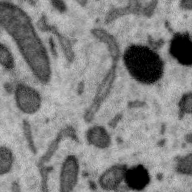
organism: Zebra finch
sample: Brain